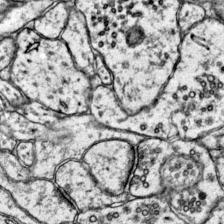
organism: Mouse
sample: Primary visual cortex